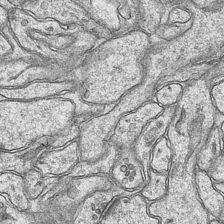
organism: Mouse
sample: CA1 Hippocampus